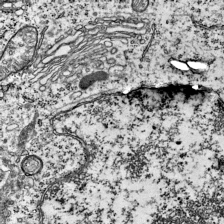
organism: Mouse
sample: Visual Cortex